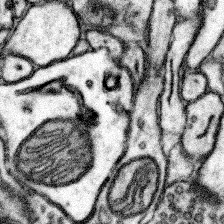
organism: Mouse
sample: Somatosensory cortex neuropil